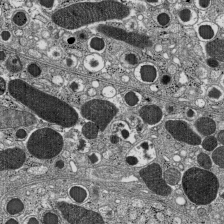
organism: C57BL Mouse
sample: Pancreatic islet